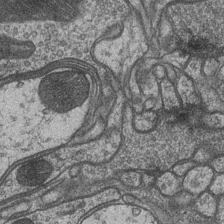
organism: Drosophila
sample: Optic medulla